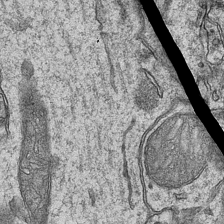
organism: Mouse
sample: CA1 Hippocampus